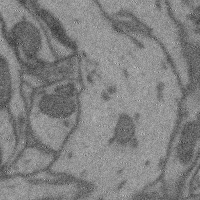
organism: Mouse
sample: Cerebral cortex